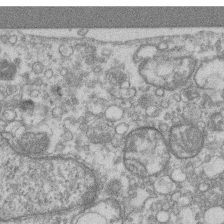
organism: Mouse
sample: T cell stromal cell synapse